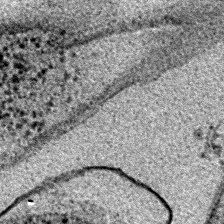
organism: E. coli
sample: E. Coli Bacteria